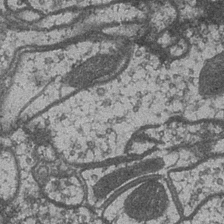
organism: Drosophila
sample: Optic medulla